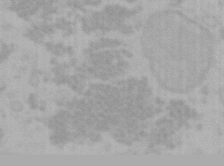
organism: Mouse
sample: Choroid plexus